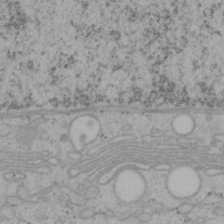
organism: Human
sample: HeLa cells